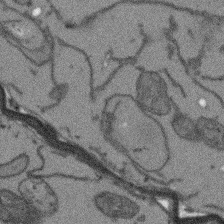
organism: Arabidopsis thaliana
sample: Root tip